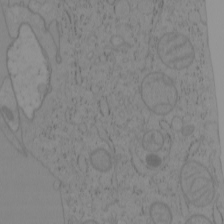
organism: Human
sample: HeLa cells